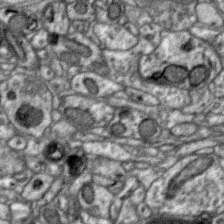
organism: Zebra finch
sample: Brain